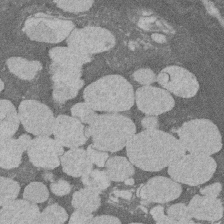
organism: Rat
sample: Salivary granule